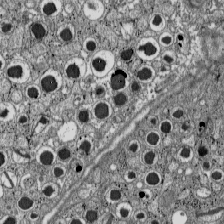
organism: C57BL Mouse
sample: Pancreatic islet